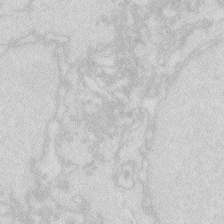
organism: Zebrafish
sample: Macrophage